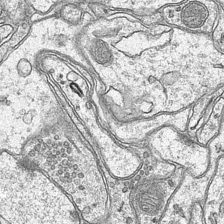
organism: Mouse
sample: CA1 Hippocampus